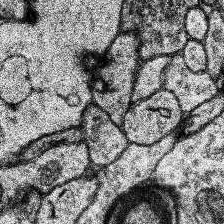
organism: Human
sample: Temporal Lobe